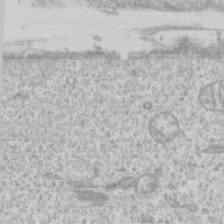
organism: Human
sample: CRL-1474